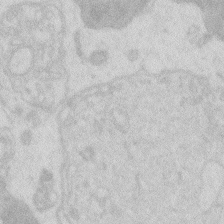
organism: Zebrafish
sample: Macrophage